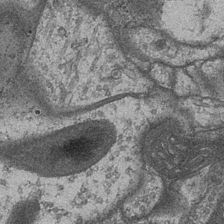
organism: Drosophila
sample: Optic medulla